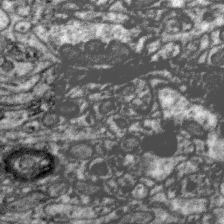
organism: Zebra finch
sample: Brain